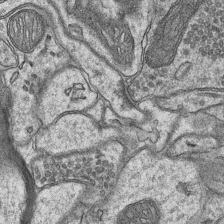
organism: Mouse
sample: CA1 Hippocampus